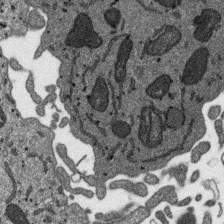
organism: Human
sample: Lung epithelial cells infected with SARS-CoV-2